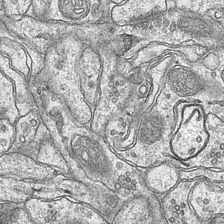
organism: Mouse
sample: CA1 Hippocampus